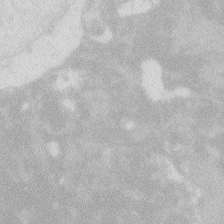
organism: Zebrafish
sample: Macrophage